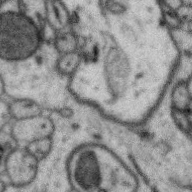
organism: Zebra finch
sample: Brain